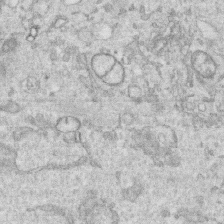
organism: Human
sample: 1205lu cells